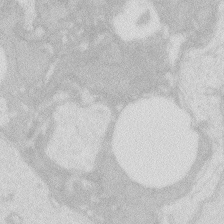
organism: Zebrafish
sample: Macrophage